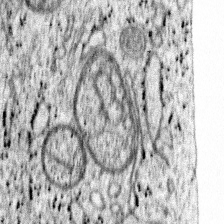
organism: Human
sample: HeLa cells